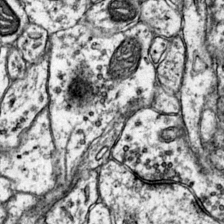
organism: Mouse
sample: Primary visual cortex